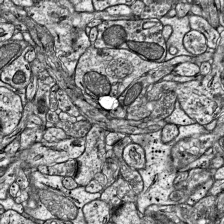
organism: Mouse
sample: Visual Cortex